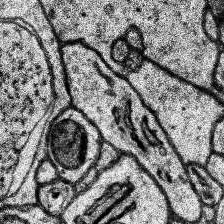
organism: Human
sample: Temporal Lobe